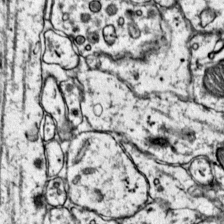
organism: Mouse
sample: Primary visual cortex